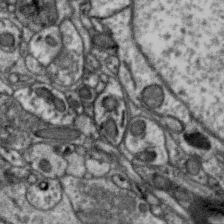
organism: Zebra finch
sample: Brain